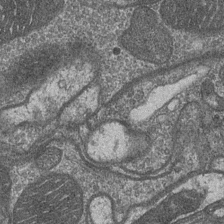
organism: Drosophila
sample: Optic medulla